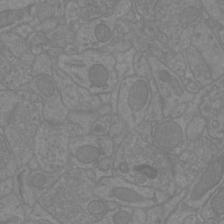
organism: Mouse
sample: Cortical neurons